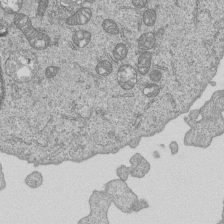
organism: Human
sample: MDA-MB-231 cells